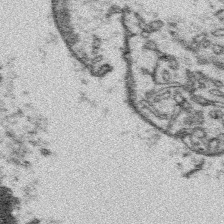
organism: Platynereis dumerilii